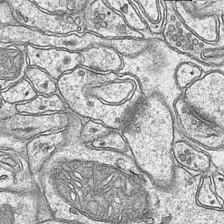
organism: Mouse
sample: CA1 Hippocampus